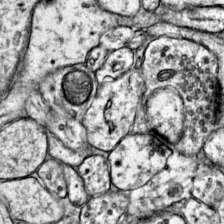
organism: Mouse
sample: Primary visual cortex